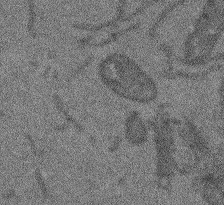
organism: Arabidopsis thaliana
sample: Root tip